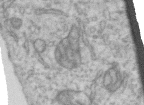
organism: Human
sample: Centriole in RPE cells